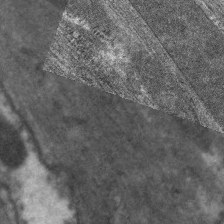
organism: C. elegans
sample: Pharynx